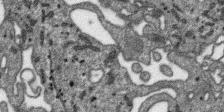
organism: Human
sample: Lung epithelial cells infected with SARS-CoV-2